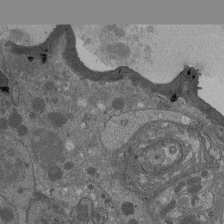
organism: Drosophila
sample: Antenna